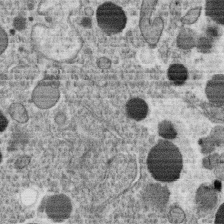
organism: C. elegans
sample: C. elegans oocyte; sperm cells